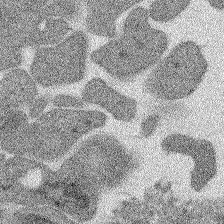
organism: Human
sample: HeLa cells